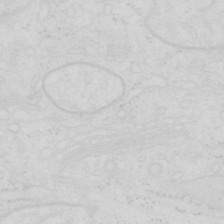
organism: Human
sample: SUM-159 cell